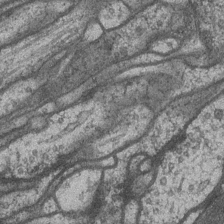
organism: Drosophila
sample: Optic medulla